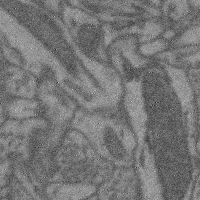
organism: Mouse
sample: Cerebral cortex